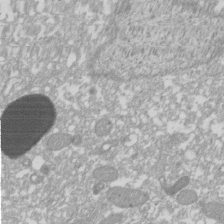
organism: Xenopus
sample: Cilia; centrioles in frog embryo cells